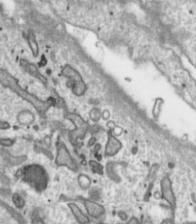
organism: Toxoplasma gondii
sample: Parasites in a vacuole inside a host cell